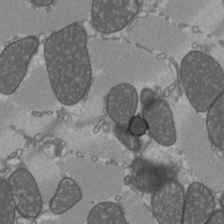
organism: C57BL Mouse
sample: Heart